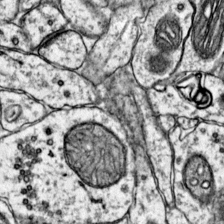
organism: Mouse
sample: Primary visual cortex